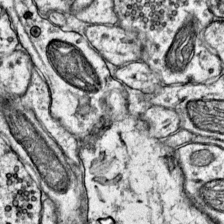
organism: Mouse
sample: Primary visual cortex